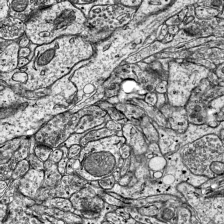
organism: Mouse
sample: Visual Cortex